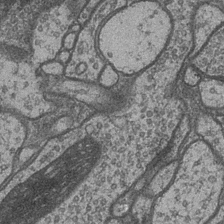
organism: Drosophila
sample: Optic medulla